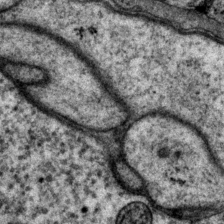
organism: P. pacificus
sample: Pharynx